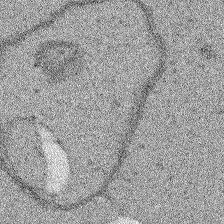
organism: Human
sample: HeLa cells